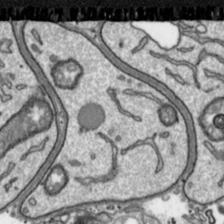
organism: Toxoplasma gondii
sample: Parasites in a vacuole inside a host cell